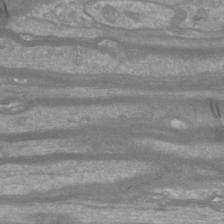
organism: Mouse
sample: Cortical neurons